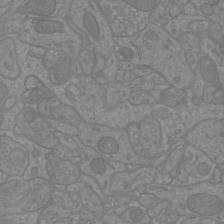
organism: Mouse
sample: Cortical neurons